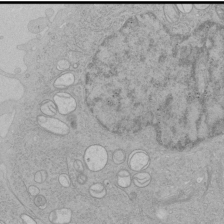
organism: Human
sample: Mitochondria in HCT116 cells